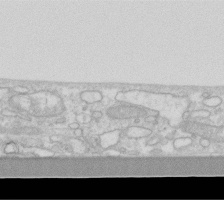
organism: Human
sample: Fibroblast cells